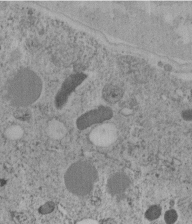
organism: C. elegans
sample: C. elegans embryo early stage